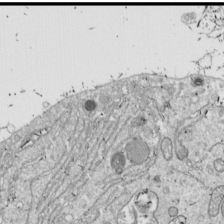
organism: Drosophila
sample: Cell division; meiosis; drosophila spermatocytes